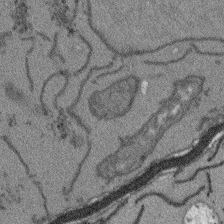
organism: Arabidopsis thaliana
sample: Root tip